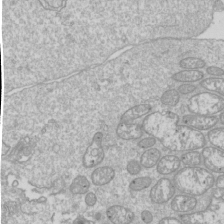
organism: Drosophila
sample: Cell division; meiosis; drosophila spermatocytes